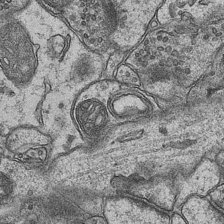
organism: Mouse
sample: CA1 Hippocampus